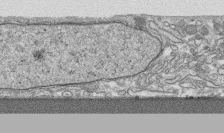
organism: Human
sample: CRL-1474